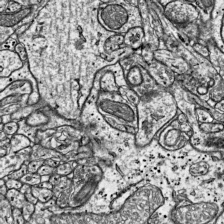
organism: Mouse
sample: Visual Cortex